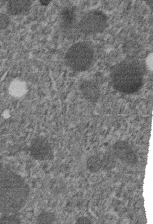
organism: C. elegans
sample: C. elegans embryo early stage